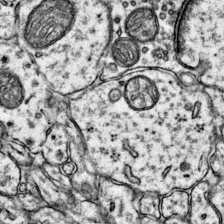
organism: Mouse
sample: Primary visual cortex